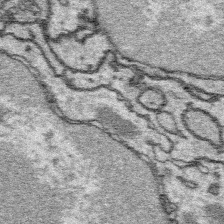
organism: Platynereis dumerilii